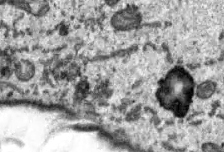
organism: Human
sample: HeLa cells